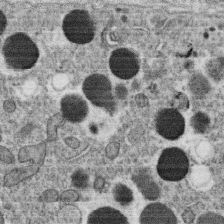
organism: C. elegans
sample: C. elegans oocyte; sperm cells